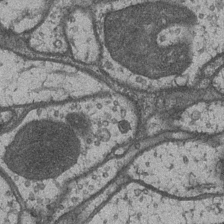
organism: Drosophila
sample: Optic medulla